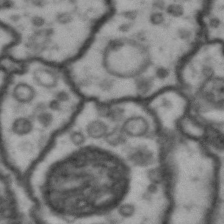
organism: Drosophila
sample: Brain